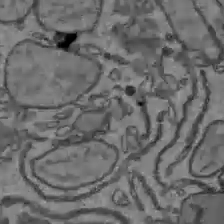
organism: C57BL Mouse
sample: Liver